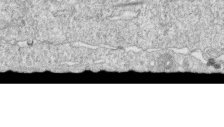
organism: Human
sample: HeLa cell HIV synapse